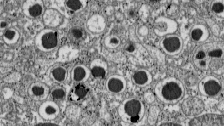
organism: C57BL Mouse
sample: Pancreatic islet